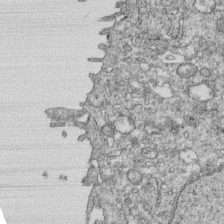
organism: Human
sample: HeLa cell HIV synapse